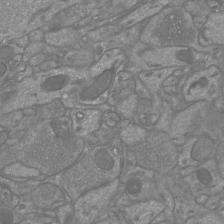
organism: Mouse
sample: Cortical neurons